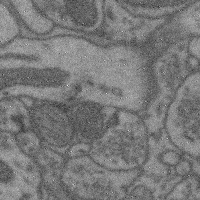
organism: Mouse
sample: Cerebral cortex